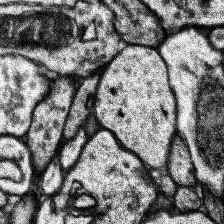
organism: Human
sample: Temporal Lobe